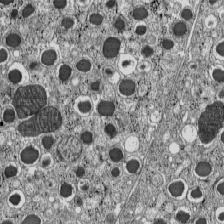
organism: C57BL Mouse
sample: Pancreatic islet